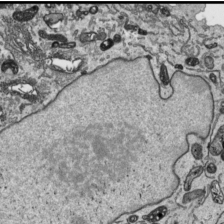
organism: Human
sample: Mitochondria in HCT116 cells